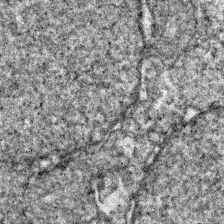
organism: Zebrafish